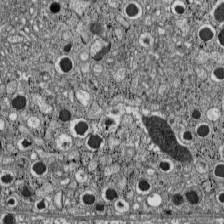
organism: C57BL Mouse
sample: Pancreatic islet